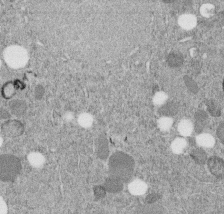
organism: C. elegans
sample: C. elegans embryo early stage